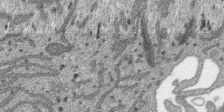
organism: Human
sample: Lung epithelial cells infected with SARS-CoV-2